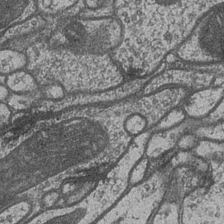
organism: Drosophila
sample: Optic medulla